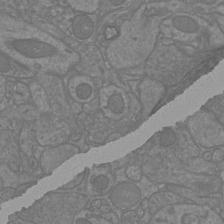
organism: Mouse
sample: Cortical neurons